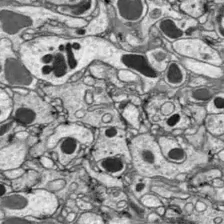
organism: Drosophila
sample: Optic lobe